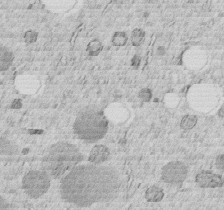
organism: C. elegans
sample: C. elegans embryo early stage